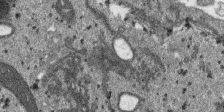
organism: Human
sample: Lung epithelial cells infected with SARS-CoV-2